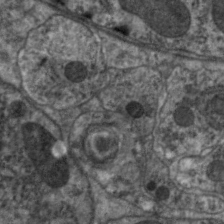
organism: C. elegans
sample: Pharynx